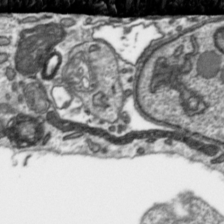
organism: Toxoplasma gondii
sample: Parasites in a vacuole inside a host cell